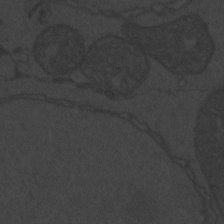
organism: Zebrafish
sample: Macrophage infected with Toxoplasma gondii